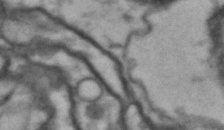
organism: Drosophila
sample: Brain